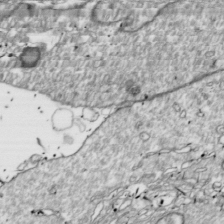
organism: Drosophila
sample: Cell division; meiosis; drosophila spermatocytes